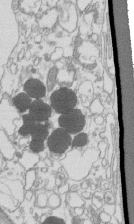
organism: Mouse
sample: Macrophages